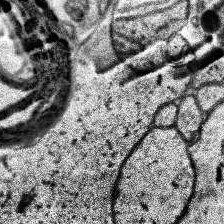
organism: Human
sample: Temporal Lobe